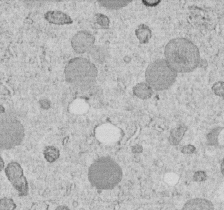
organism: C. elegans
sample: C. elegans embryo early stage